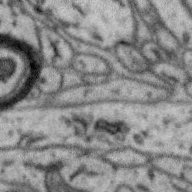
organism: Zebra finch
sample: Brain